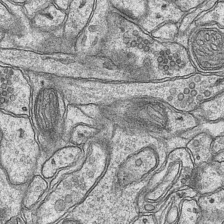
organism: Mouse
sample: CA1 Hippocampus